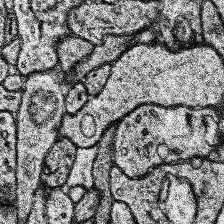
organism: Human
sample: Temporal Lobe